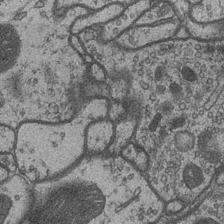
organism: Drosophila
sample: Optic medulla